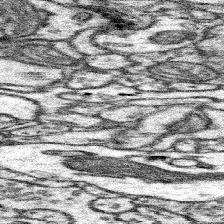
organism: Mouse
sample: Somatosensory cortex neuropil